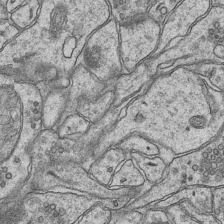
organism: Mouse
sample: CA1 Hippocampus